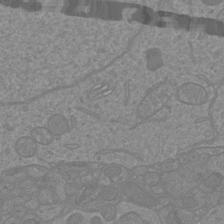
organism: Mouse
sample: Cortical neurons